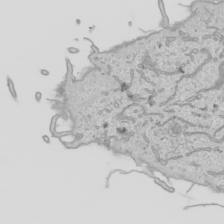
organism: Human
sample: Mitochondria in HCT116 cells